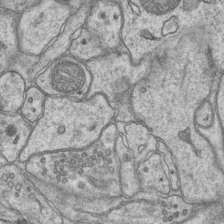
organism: Mouse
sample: CA1 Hippocampus